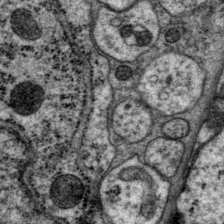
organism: P. pacificus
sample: Pharynx